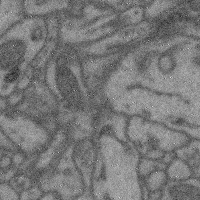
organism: Mouse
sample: Cerebral cortex